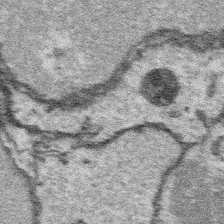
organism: Platynereis dumerilii